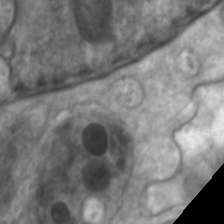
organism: C. elegans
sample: Pharynx